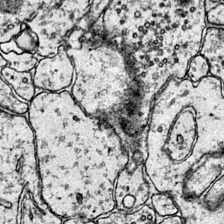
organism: Mouse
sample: Primary visual cortex